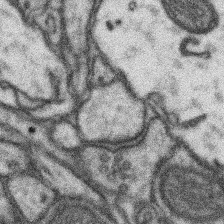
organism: Mouse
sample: Somatosensory cortex neuropil